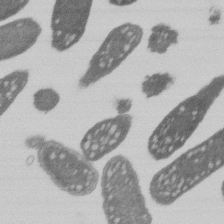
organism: E. coli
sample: Bacterial nucleoid